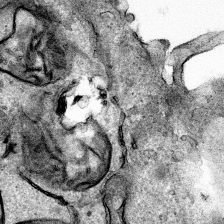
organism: Human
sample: Mitochondria in HCT116 cells